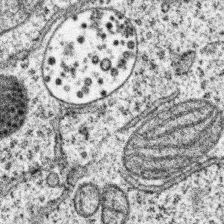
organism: Human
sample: HeLa cells